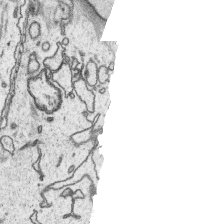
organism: Platynereis dumerilii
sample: Parapodia